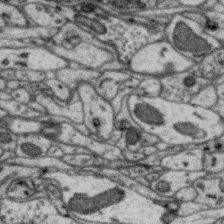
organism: Zebra finch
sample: Brain